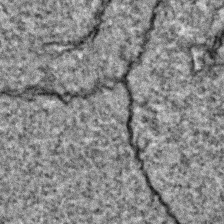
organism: Zebrafish